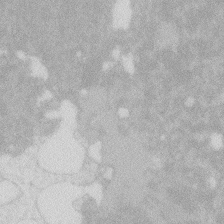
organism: Zebrafish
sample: Macrophage